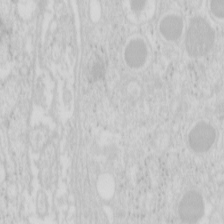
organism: Mouse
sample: Pancreas